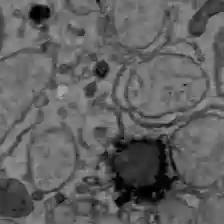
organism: C57BL Mouse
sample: Liver